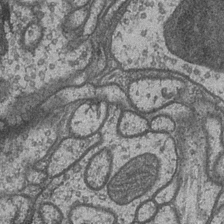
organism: Drosophila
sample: Optic medulla